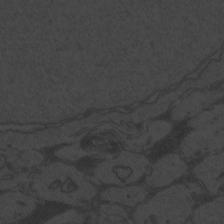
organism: Zebrafish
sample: Macrophage infected with Toxoplasma gondii